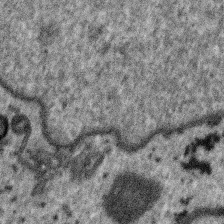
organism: Human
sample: Lung epithelial cells infected with SARS-CoV-2